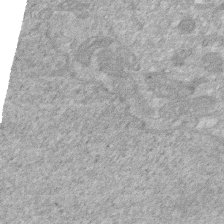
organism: Human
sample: HIV infected U937 cells